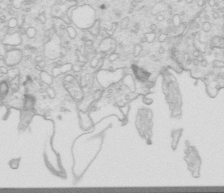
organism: Mouse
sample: Multiciliated cells